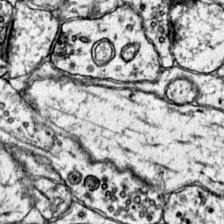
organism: Mouse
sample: Primary visual cortex